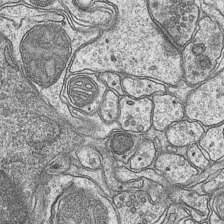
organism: Mouse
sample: CA1 Hippocampus